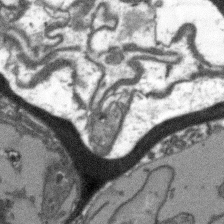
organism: Arabidopsis thaliana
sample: Root tip